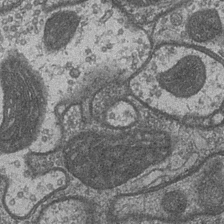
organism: Drosophila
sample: Optic medulla